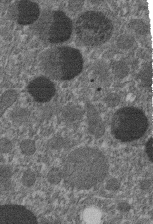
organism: C. elegans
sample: C. elegans embryo early stage